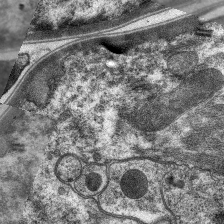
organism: C. elegans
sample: Pharynx